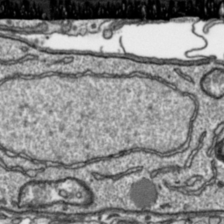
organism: Toxoplasma gondii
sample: Parasites in a vacuole inside a host cell